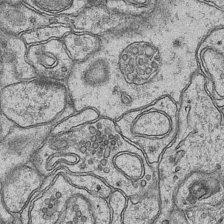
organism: Mouse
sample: CA1 Hippocampus